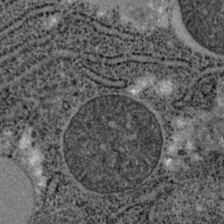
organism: C. elegans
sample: C. elegans embryo